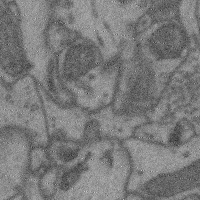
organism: Mouse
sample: Cerebral cortex